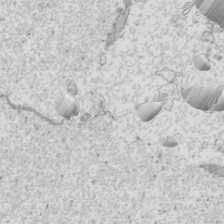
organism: Mouse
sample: Cilia; mouse epididymis